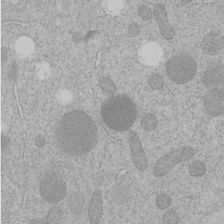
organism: C. elegans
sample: C. elegans embryo early stage